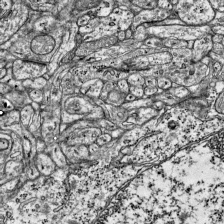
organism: Mouse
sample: Visual Cortex